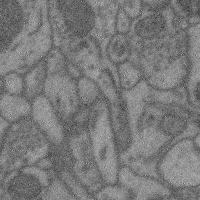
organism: Mouse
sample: Cerebral cortex